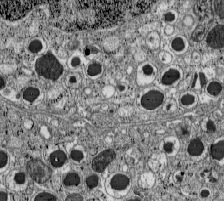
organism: C57BL Mouse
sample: Pancreatic islet